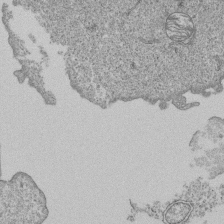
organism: Human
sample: MDA-MB-231 cells